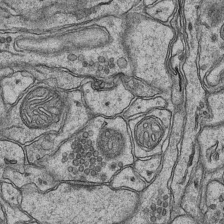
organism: Mouse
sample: CA1 Hippocampus